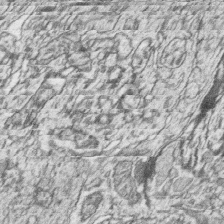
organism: Zebrafish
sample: synaptic ribbons in rod cells and cone cells